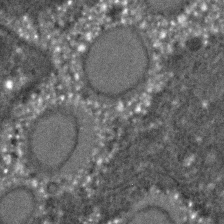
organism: C. elegans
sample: C. elegans embryo